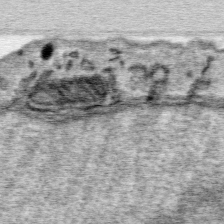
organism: Human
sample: HeLa cells